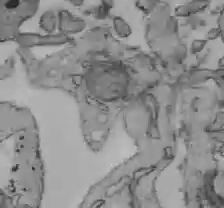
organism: C57BL Mouse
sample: Liver